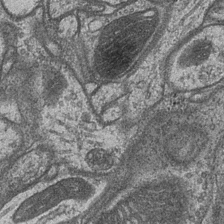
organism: Drosophila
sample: Optic medulla